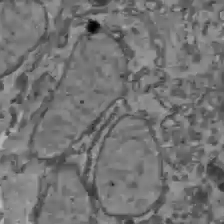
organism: C57BL Mouse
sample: Liver